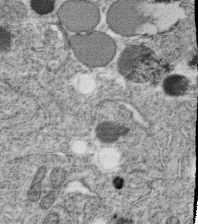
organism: C. elegans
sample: C. elegans oocyte; sperm cells